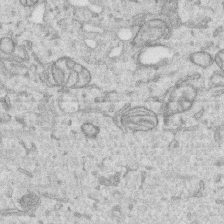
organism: Human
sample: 1205lu cells